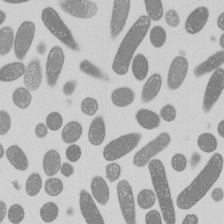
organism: E. coli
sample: Bacterial nucleoid